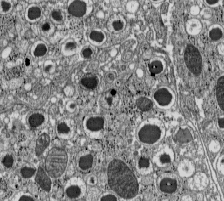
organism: C57BL Mouse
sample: Pancreatic islet